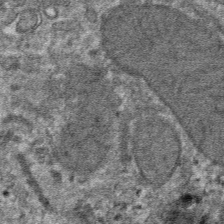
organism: Mouse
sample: Mouse hepatocytes